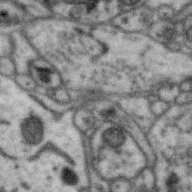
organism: Zebra finch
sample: Brain